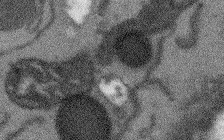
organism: Arabidopsis thaliana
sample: Root tip